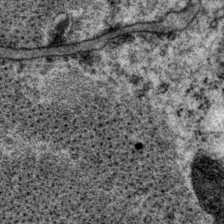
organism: P. pacificus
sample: Pharynx